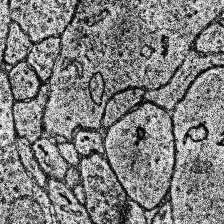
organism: Human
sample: Temporal Lobe